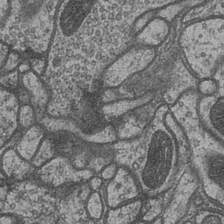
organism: Drosophila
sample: Optic medulla